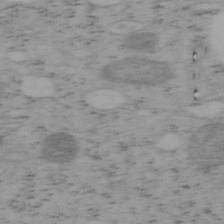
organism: Mouse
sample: OT-I killer T cells with ID8 ovarian cancer cells